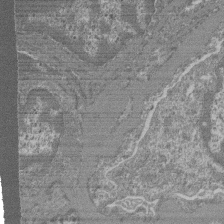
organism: Mouse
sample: Glomerulus